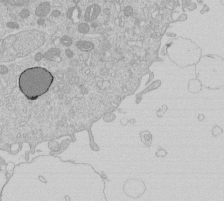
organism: Human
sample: Macrophage cells